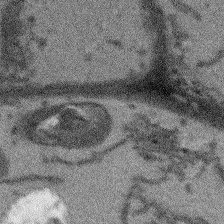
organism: Arabidopsis thaliana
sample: Root tip